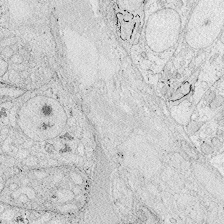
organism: Zebrafish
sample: Whole-Brain